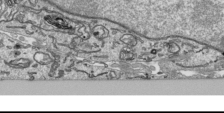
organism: Human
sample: Mitochondria in HCT116 cells